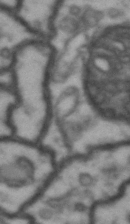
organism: Drosophila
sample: Brain